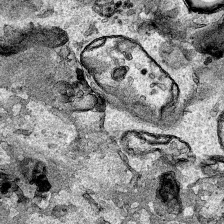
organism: Human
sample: Mitochondria in HCT116 cells